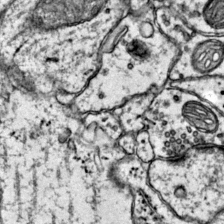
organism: Mouse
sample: Primary visual cortex